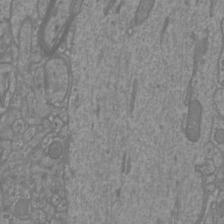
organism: Mouse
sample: Cortical neurons